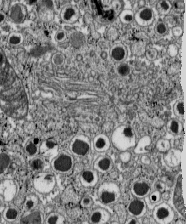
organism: C57BL Mouse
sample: Pancreatic islet